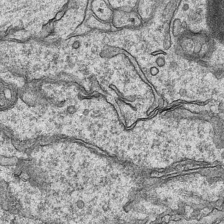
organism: Mouse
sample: CA1 Hippocampus